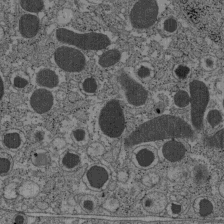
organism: C57BL Mouse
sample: Pancreatic islet